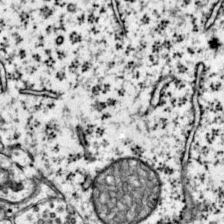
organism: Mouse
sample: Primary visual cortex